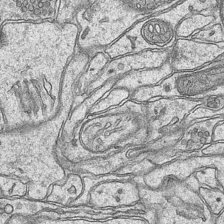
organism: Mouse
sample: CA1 Hippocampus